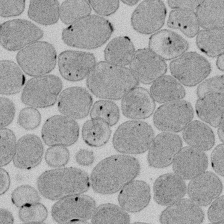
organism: E. coli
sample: Bacterial nucleoid